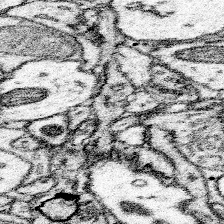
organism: Mouse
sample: Somatosensory cortex neuropil